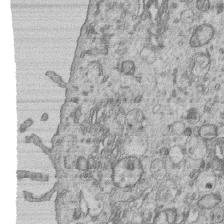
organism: Human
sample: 1205lu cells